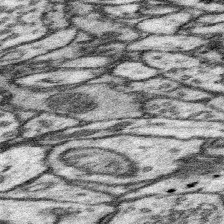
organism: Mouse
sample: Somatosensory cortex neuropil